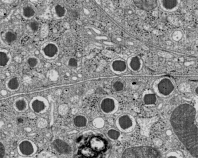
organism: C57BL Mouse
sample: Pancreatic islet